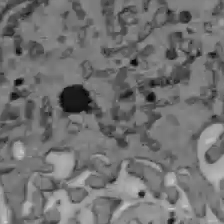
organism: C57BL Mouse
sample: Liver